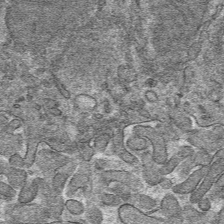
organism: Mouse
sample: Mouse hepatocytes